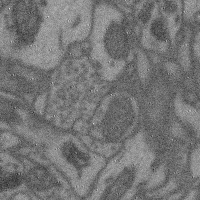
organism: Mouse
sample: Cerebral cortex